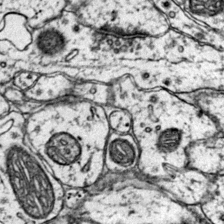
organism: Mouse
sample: Primary visual cortex